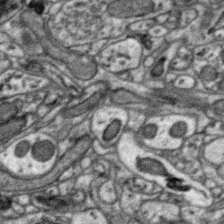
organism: Zebra finch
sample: Brain